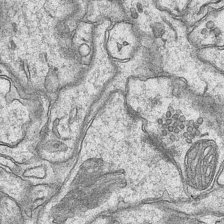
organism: Mouse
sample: CA1 Hippocampus